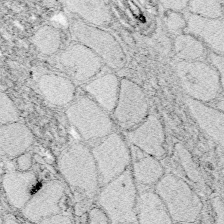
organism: Zebrafish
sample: Whole-Brain